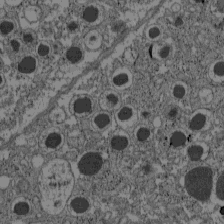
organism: C57BL Mouse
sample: Pancreatic islet